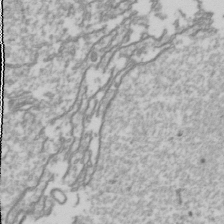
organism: Drosophila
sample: Cell division; meiosis; drosophila spermatocytes